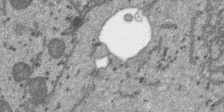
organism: Human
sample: Lung epithelial cells infected with SARS-CoV-2